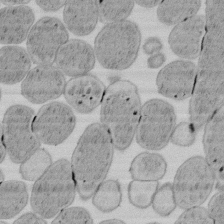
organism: E. coli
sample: Bacterial nucleoid